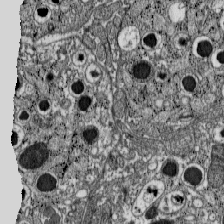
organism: C57BL Mouse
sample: Pancreatic islet